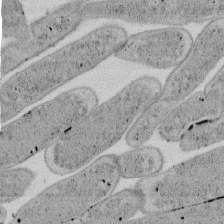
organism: E. coli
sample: Bacterial nucleoid